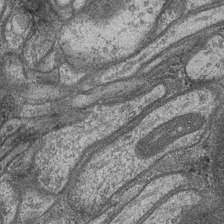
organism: Drosophila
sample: Optic medulla